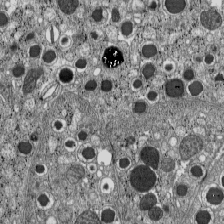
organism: C57BL Mouse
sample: Pancreatic islet